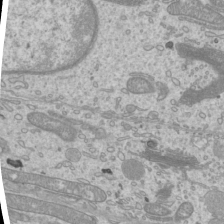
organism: Mouse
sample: Cilia; mouse epididymis